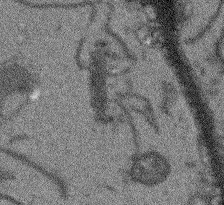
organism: Arabidopsis thaliana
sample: Root tip